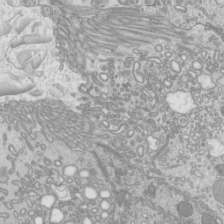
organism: Mouse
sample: Cilia; mouse epididymis